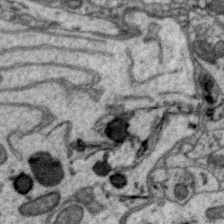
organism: Zebra finch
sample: Brain